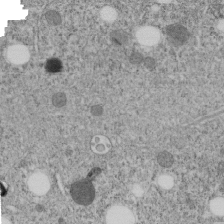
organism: C. elegans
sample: C. elegans embryo early stage